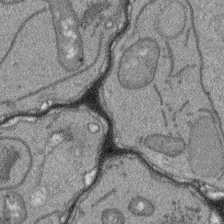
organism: Arabidopsis thaliana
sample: Root tip